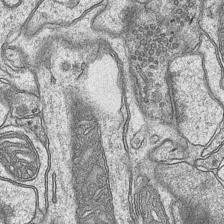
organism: Mouse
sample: CA1 Hippocampus